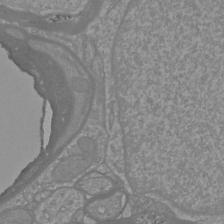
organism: Mouse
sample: Cortical neurons